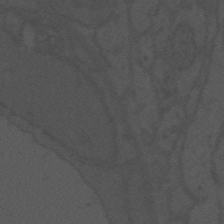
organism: Mouse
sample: Suprachiasmatic nucleus